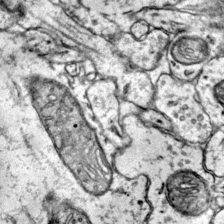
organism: Mouse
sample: Primary visual cortex